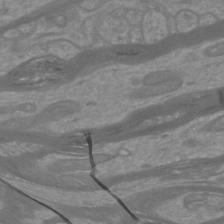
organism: Mouse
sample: Cortical neurons